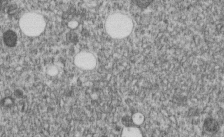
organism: C. elegans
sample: C. elegans embryo early stage